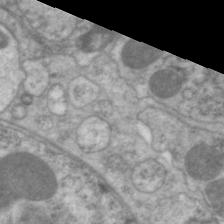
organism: C. elegans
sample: Pharynx